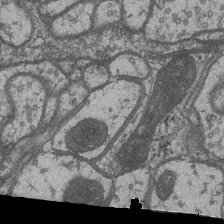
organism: Drosophila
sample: Optic medulla